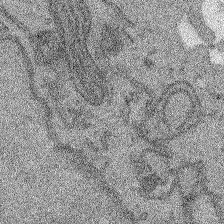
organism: Human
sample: HeLa cells